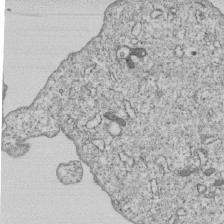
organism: Human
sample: MDA-MB-231 cells